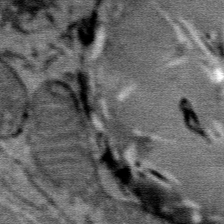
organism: Mouse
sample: Mouse Salivary gland